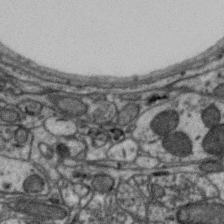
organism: Zebra finch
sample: Brain